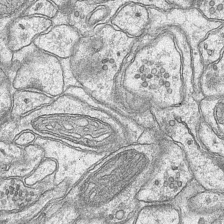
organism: Mouse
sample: CA1 Hippocampus